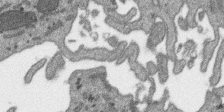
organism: Human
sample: Lung epithelial cells infected with SARS-CoV-2